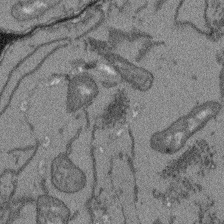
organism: Arabidopsis thaliana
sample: Root tip